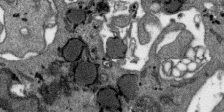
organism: Human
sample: Lung epithelial cells, uninfected (mock) control